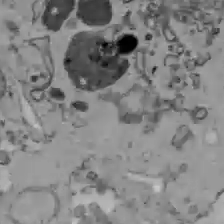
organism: C57BL Mouse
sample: Liver